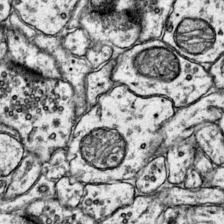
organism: Mouse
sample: Primary visual cortex